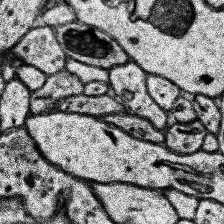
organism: Human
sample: Temporal Lobe